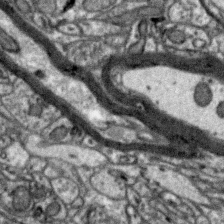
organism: Zebra finch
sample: Brain